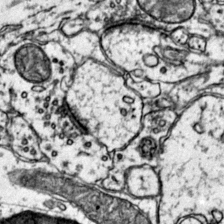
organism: Mouse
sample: Primary visual cortex